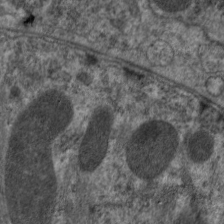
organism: C. elegans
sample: Pharynx